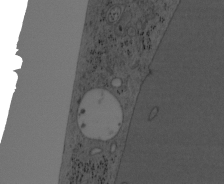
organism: Mouse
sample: OT-I killer T cells with ID8 ovarian cancer cells